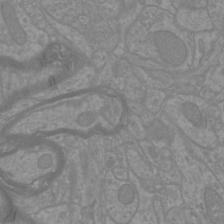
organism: Mouse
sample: Cortical neurons